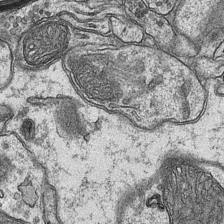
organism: Mouse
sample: CA1 Hippocampus